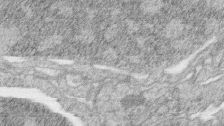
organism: Zebrafish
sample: synaptic ribbons in rod cells and cone cells